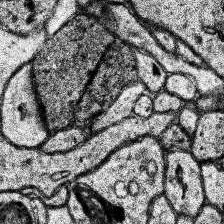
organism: Human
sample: Temporal Lobe